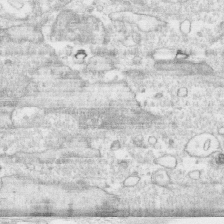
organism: Human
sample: CRL-1474